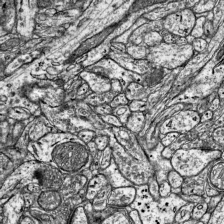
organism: Mouse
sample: Visual Cortex